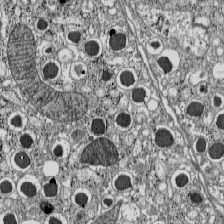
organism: C57BL Mouse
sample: Pancreatic islet